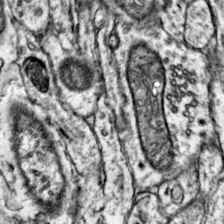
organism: Mouse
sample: Primary visual cortex